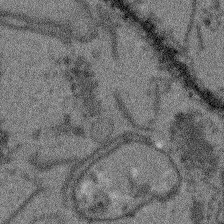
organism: Arabidopsis thaliana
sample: Root tip